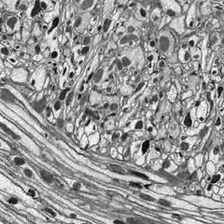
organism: Drosophila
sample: Optic lobe